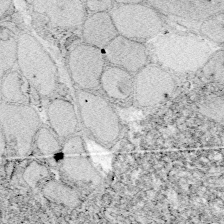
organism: Zebrafish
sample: Whole-Brain